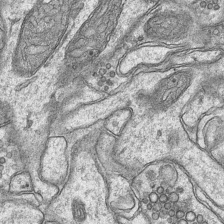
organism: Mouse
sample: CA1 Hippocampus